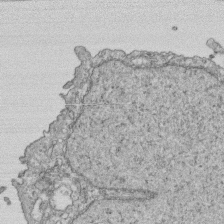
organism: Human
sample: HeLa cell HIV synapse